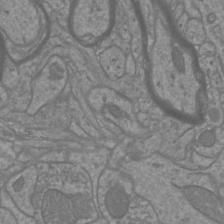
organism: Mouse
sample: Cortical neurons